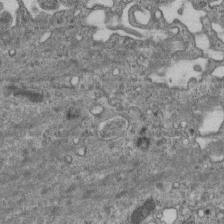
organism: Mouse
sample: Centriole in ependymal cells